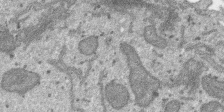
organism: Human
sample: Lung epithelial cells infected with SARS-CoV-2